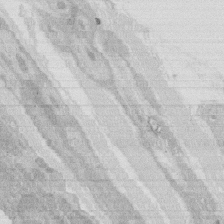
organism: Rat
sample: Salivary granule